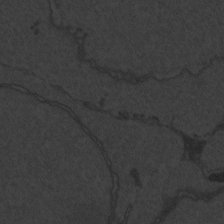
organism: Zebrafish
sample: Macrophage infected with Toxoplasma gondii